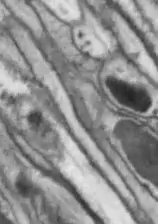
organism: Drosophila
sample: Optic lobe